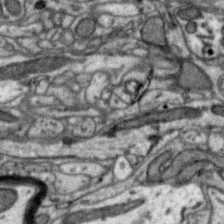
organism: Zebra finch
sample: Brain